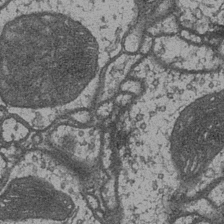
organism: Drosophila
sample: Optic medulla